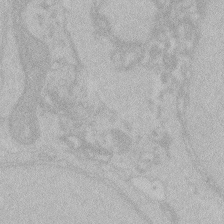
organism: Zebrafish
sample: Macrophage infected with Toxoplasma gondii